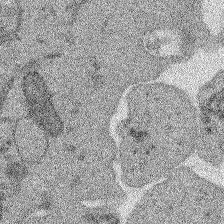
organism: Human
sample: HeLa cells